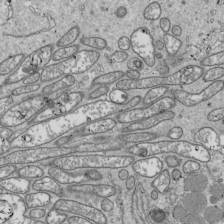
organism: Drosophila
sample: Cell division; meiosis; drosophila spermatocytes